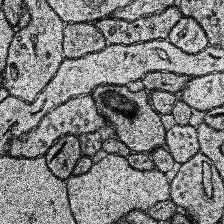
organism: Human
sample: Temporal Lobe